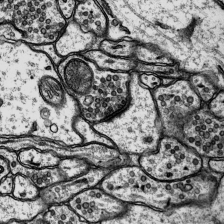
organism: Rat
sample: Hippocampus